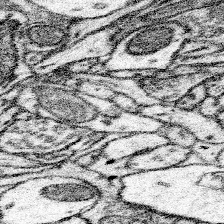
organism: Mouse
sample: Somatosensory cortex neuropil